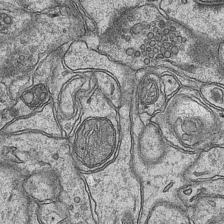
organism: Mouse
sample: CA1 Hippocampus